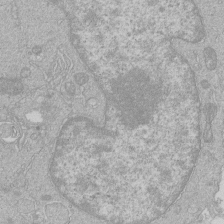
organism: Human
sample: Macrophage cells